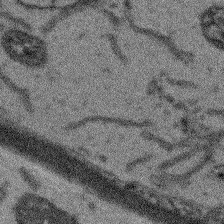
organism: Arabidopsis thaliana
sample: Root tip